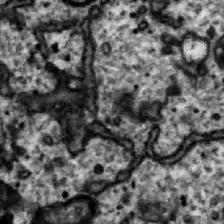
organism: Human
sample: HeLa cells